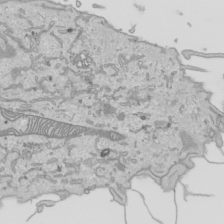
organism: Human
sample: Mitochondria in HCT116 cells